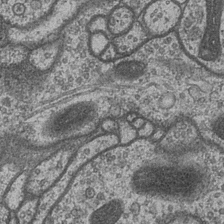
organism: Drosophila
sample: Optic medulla